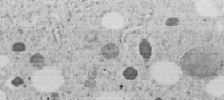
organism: C. elegans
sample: C. elegans embryo early stage